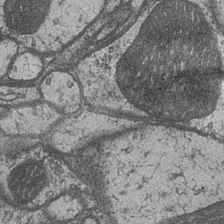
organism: Drosophila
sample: Optic medulla